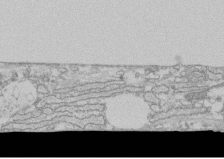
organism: Human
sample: CRL-1474